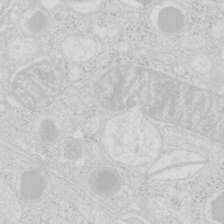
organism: Mouse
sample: Pancreas